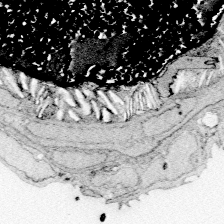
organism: Zebrafish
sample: Whole-Brain